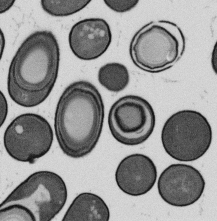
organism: B. subtilis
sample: Bacterial spore